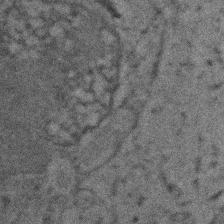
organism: Zebrafish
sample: Zebrafish embryo